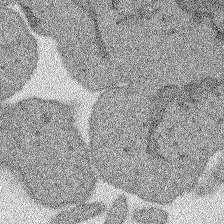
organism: Human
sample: HeLa cells